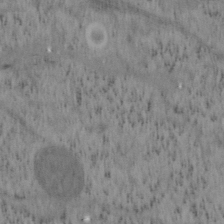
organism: Mouse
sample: OT-I killer T cells with ID8 ovarian cancer cells